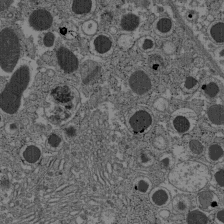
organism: C57BL Mouse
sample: Pancreatic islet